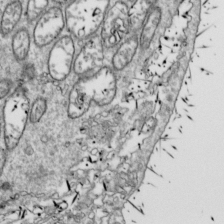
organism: Drosophila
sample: Cell division; meiosis; drosophila spermatocytes